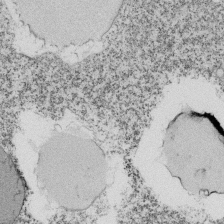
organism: Tetrahymena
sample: Cilia in tetrahymena